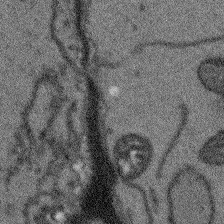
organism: Arabidopsis thaliana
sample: Root tip